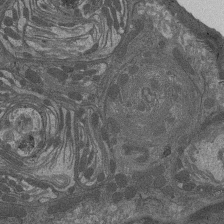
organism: Drosophila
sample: Antenna